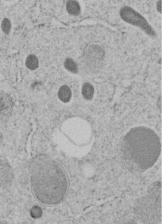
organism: C. elegans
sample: C. elegans embryo early stage